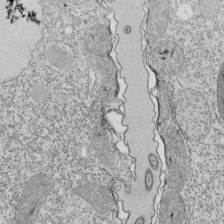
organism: Tetrahymena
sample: Cilia in tetrahymena